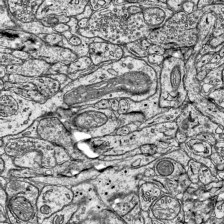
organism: Mouse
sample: Visual Cortex